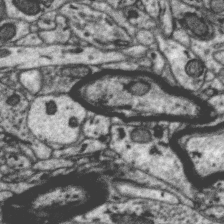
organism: Zebra finch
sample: Brain